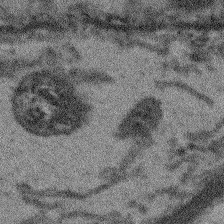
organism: Arabidopsis thaliana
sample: Root tip